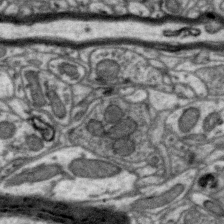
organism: Zebra finch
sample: Brain